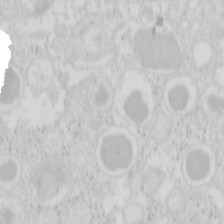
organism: Mouse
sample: Pancreas